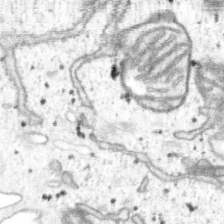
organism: Human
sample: HeLa cells